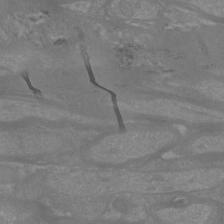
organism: Mouse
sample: Cortical neurons